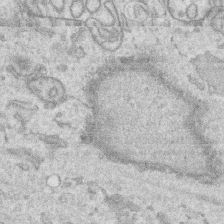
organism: Human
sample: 1205lu cells